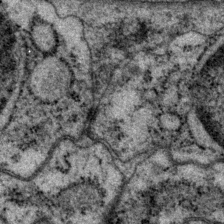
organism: P. pacificus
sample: Pharynx